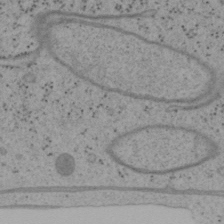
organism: Human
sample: HeLa cells